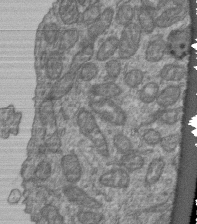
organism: Human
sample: Retinal organoid Rod and Cone cells